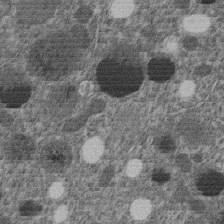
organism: C. elegans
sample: C. elegans embryo early stage